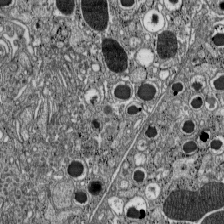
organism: C57BL Mouse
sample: Pancreatic islet